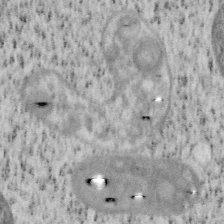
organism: Mouse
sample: OT-I killer T cells with ID8 ovarian cancer cells